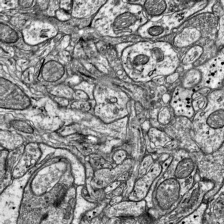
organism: Mouse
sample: Visual Cortex